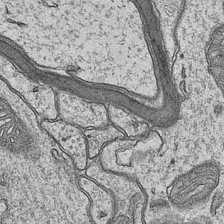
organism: Mouse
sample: CA1 Hippocampus